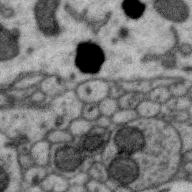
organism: Zebra finch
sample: Brain